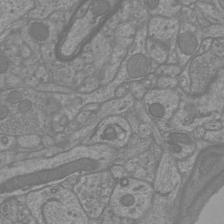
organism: Mouse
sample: Cortical neurons